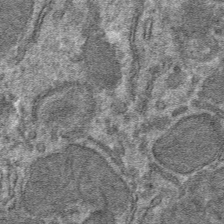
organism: Mouse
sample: Mouse hepatocytes